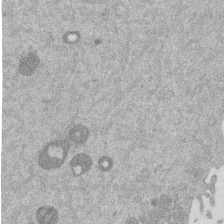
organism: Mouse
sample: Dividing mouse embryo 1 cell stage